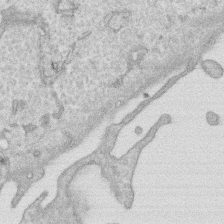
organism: Human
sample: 1205lu cells